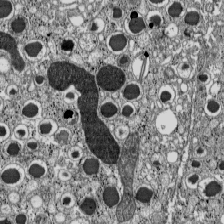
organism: C57BL Mouse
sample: Pancreatic islet